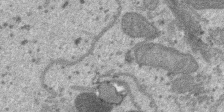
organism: Human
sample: Lung epithelial cells infected with SARS-CoV-2